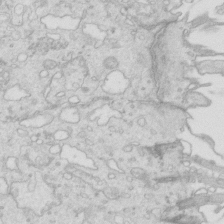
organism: Mouse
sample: Multiciliated cells